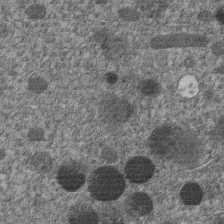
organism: C. elegans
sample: C. elegans embryo early stage